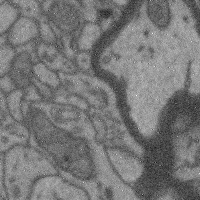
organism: Mouse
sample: Cerebral cortex